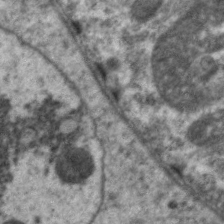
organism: C. elegans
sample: Pharynx